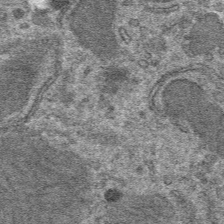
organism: Mouse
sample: Mouse hepatocytes